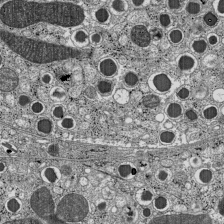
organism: C57BL Mouse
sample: Pancreatic islet